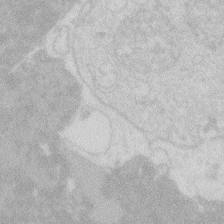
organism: Zebrafish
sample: Macrophage